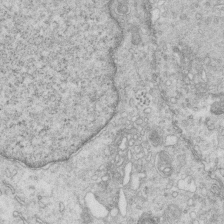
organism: Mouse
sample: Multiciliated cells